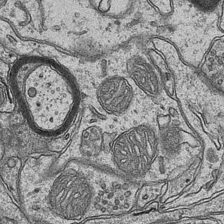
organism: Mouse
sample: CA1 Hippocampus